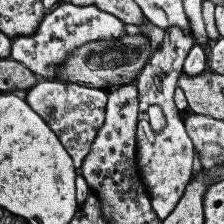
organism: Human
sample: Temporal Lobe